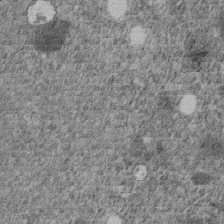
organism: C. elegans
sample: C. elegans embryo early stage